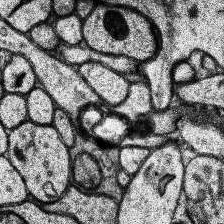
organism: Human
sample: Temporal Lobe